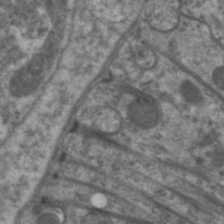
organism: C. elegans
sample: Pharynx